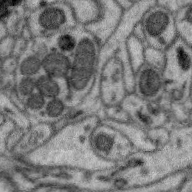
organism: Zebra finch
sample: Brain